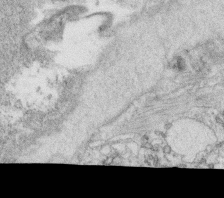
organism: C. elegans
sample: C. elegans oocyte; sperm cells